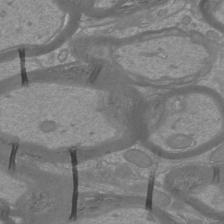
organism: Mouse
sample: Cortical neurons